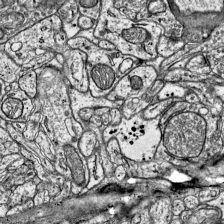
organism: Mouse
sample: Visual Cortex